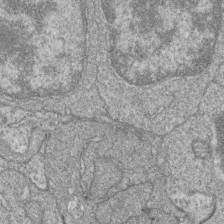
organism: Zebrafish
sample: Cilia; retinal pigment epithelium